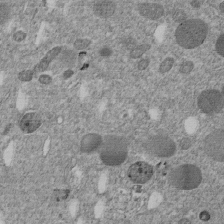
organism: C. elegans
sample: C. elegans embryo early stage